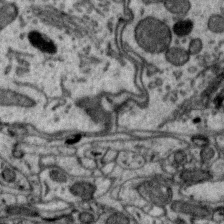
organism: Zebra finch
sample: Brain